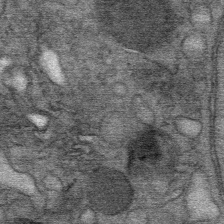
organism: Mouse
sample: Mouse Salivary gland